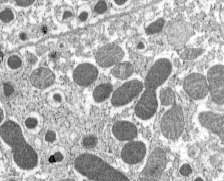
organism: C57BL Mouse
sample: Pancreatic islet